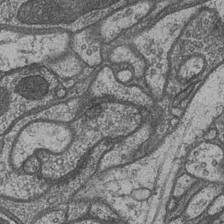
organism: Drosophila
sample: Optic medulla